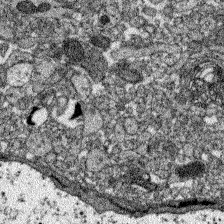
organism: Zebrafish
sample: Larval olfactory bulb